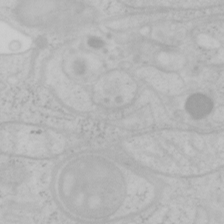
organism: Mouse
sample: OT-I killer T cells with ID8 ovarian cancer cells